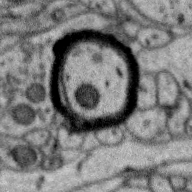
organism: Zebra finch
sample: Brain